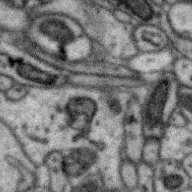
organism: Zebra finch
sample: Brain